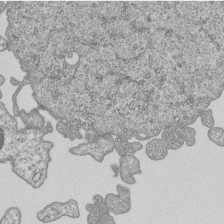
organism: Human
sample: MDA-MB-231 cells